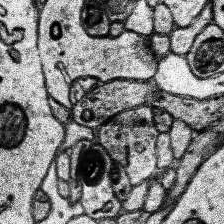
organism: Human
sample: Temporal Lobe